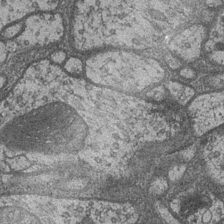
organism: Drosophila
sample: Optic medulla